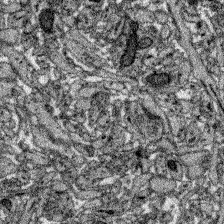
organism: Zebrafish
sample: Larval olfactory bulb